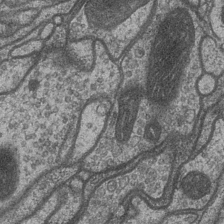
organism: Drosophila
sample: Optic medulla